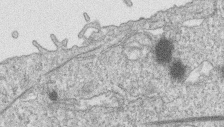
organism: Human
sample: HeLa cell HIV synapse